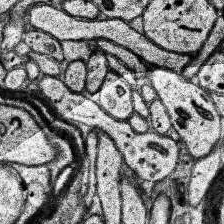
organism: Human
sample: Temporal Lobe